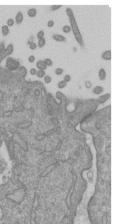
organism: Mouse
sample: ED-1 cell nuclei; centrioles